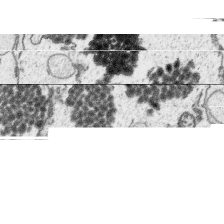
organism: Platynereis dumerilii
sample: Parapodia